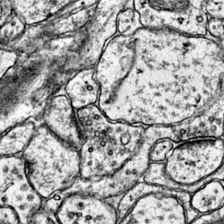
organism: Mouse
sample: Primary visual cortex